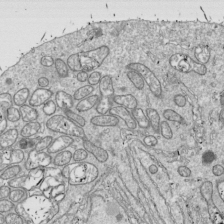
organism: Drosophila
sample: Cell division; meiosis; drosophila spermatocytes